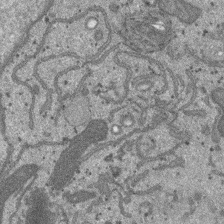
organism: Human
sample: Lung epithelial cells infected with SARS-CoV-2